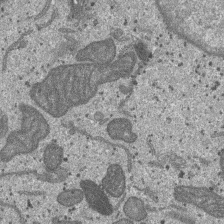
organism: Human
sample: Lung epithelial cells infected with SARS-CoV-2